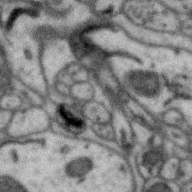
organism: Zebra finch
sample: Brain